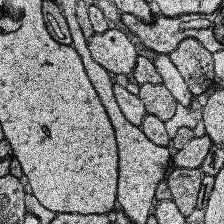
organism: Human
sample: Temporal Lobe